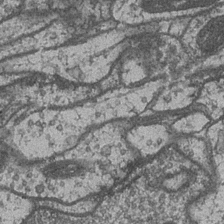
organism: Drosophila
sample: Optic medulla